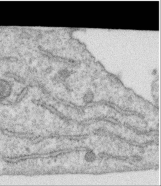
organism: Human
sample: Centriole in RPE cells